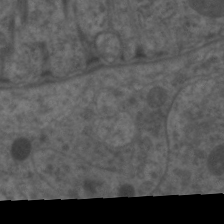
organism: C. elegans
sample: Pharynx